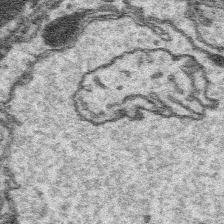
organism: Platynereis dumerilii